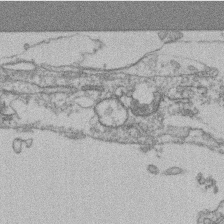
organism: Mouse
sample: T cell stromal cell synapse